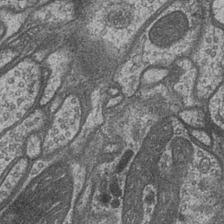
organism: Drosophila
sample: Optic medulla